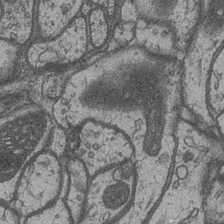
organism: Drosophila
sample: Optic medulla